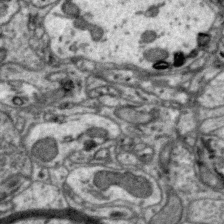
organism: Zebra finch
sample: Brain